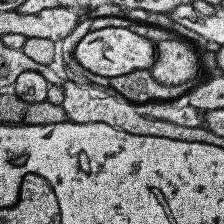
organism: Human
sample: Temporal Lobe